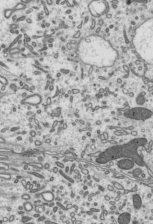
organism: Mouse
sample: Mouse epididymis efferent ductule cilia